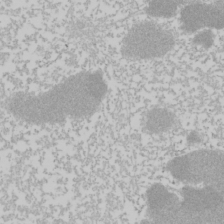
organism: Mouse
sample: Cancer cell death in ED-1 cells